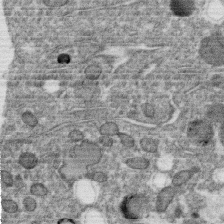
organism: C. elegans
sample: C. elegans oocyte; sperm cells